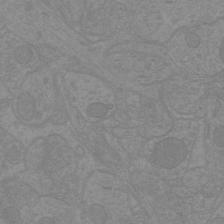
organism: Mouse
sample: Cortical neurons